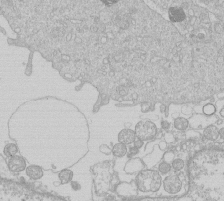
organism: Human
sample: Macrophage cells